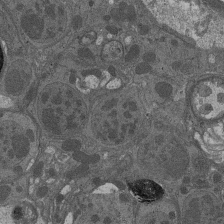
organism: Drosophila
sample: Antenna